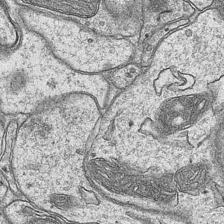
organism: Mouse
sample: CA1 Hippocampus